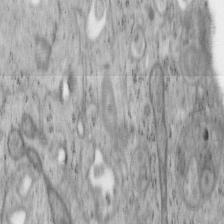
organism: Human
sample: HeLa cells